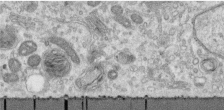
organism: Human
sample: Centriole in RPE cells